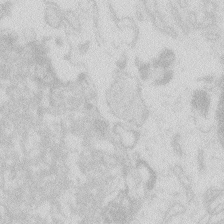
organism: Zebrafish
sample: Macrophage